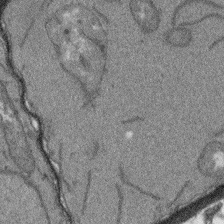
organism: Arabidopsis thaliana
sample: Root tip